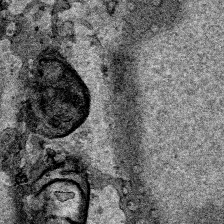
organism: Human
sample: Mitochondria in HCT116 cells